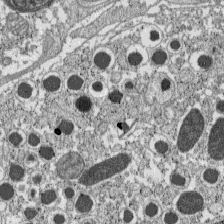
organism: C57BL Mouse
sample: Pancreatic islet